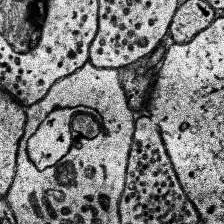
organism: Human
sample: Temporal Lobe